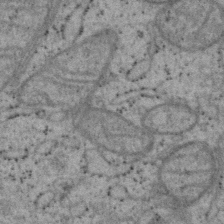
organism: Human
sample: HeLa cells